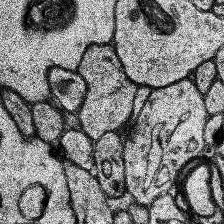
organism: Human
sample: Temporal Lobe